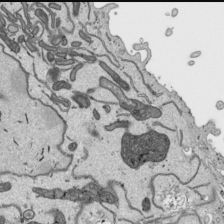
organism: Human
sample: Mitochondria in HCT116 cells